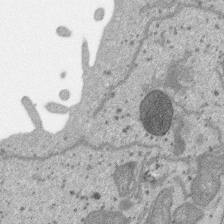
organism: Human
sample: Lung epithelial cells infected with SARS-CoV-2